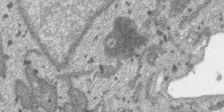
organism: Human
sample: Lung epithelial cells infected with SARS-CoV-2